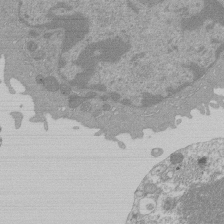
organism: Mouse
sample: Activated Pmel transgenic CD8+ T Cells